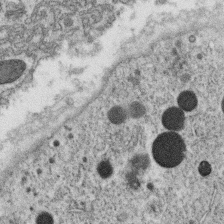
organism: C. elegans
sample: C. elegans oocyte; sperm cells